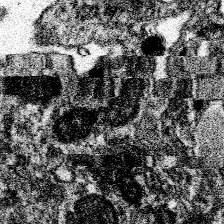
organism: Spongilla lacustris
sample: Neuroid cell